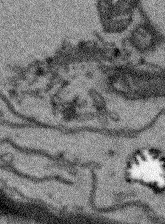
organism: Arabidopsis thaliana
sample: Root tip